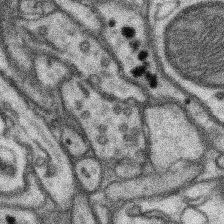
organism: Mouse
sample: Somatosensory cortex neuropil